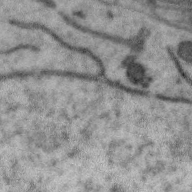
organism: Zebra finch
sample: Brain